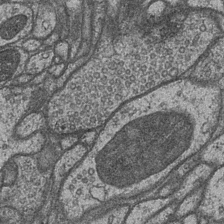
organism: Drosophila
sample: Optic medulla